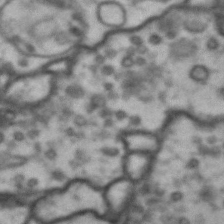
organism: Drosophila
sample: Brain